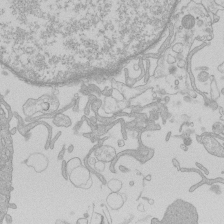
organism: Human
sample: Macrophage cells